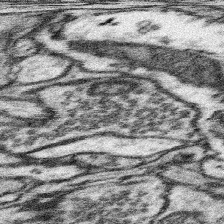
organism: Mouse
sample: Somatosensory cortex neuropil